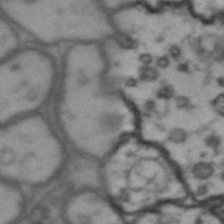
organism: Drosophila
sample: Brain